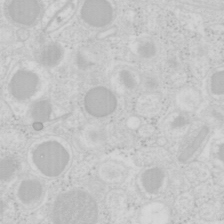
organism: Mouse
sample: Pancreas